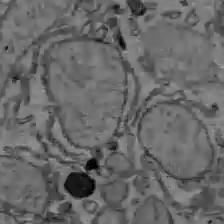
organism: C57BL Mouse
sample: Liver